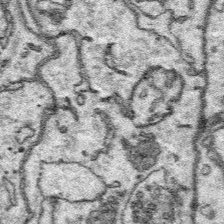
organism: Platynereis dumerilii